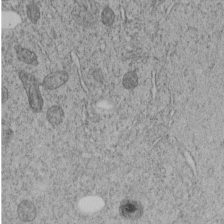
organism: C. elegans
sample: C. elegans embryo early stage